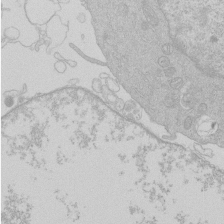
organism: Human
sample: Macrophage cells